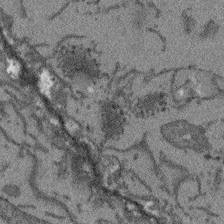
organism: Arabidopsis thaliana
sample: Root tip